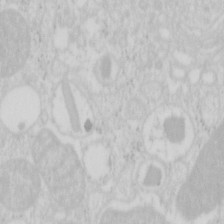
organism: Mouse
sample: Pancreas